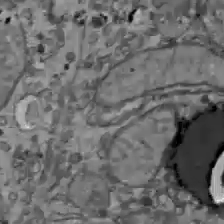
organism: C57BL Mouse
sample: Liver